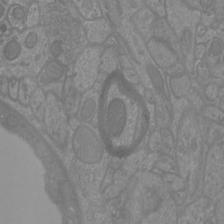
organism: Mouse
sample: Cortical neurons